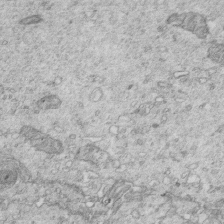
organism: Mouse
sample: Multiciliated cells